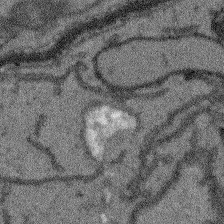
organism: Arabidopsis thaliana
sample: Root tip